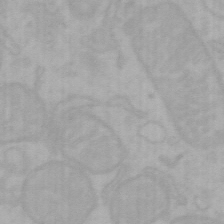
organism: Mouse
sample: Choroid plexus